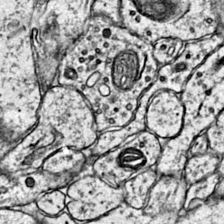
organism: Mouse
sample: Primary visual cortex